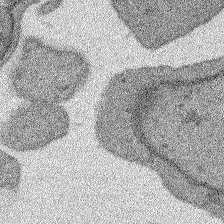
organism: Human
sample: HeLa cells